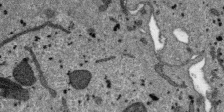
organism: Human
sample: Lung epithelial cells, uninfected (mock) control